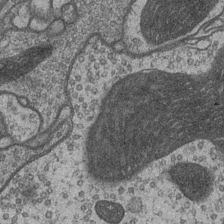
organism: Drosophila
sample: Optic medulla